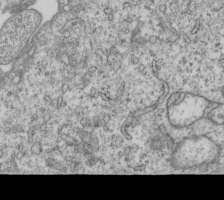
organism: Human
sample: MDA-MB-231 cells